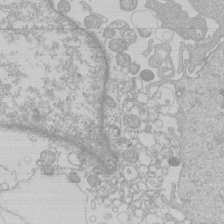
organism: Human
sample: Macrophage cells